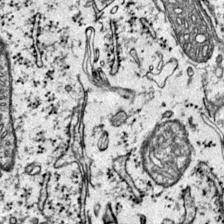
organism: Mouse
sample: Primary visual cortex